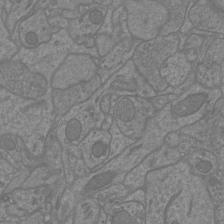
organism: Mouse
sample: Cortical neurons